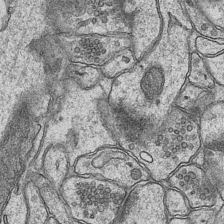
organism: Mouse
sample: CA1 Hippocampus